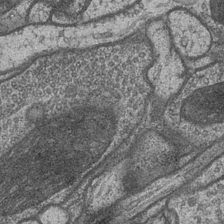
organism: Drosophila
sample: Optic medulla